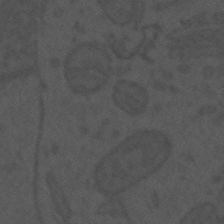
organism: Mouse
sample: Suprachiasmatic nucleus